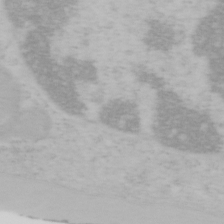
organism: Mouse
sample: OT-I killer T cells with ID8 ovarian cancer cells